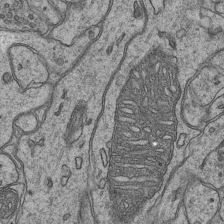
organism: Mouse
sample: CA1 Hippocampus